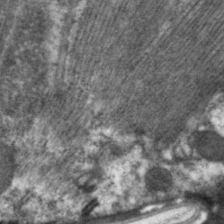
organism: C. elegans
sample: Pharynx